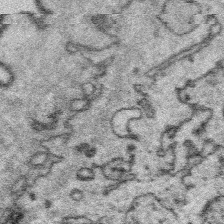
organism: Platynereis dumerilii